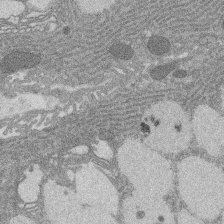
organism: Rat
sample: Salivary granule